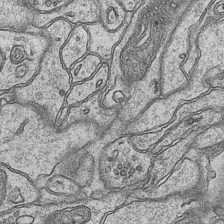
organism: Mouse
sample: CA1 Hippocampus